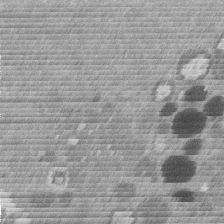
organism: Mouse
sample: Dividing mouse embryo 1 cell stage